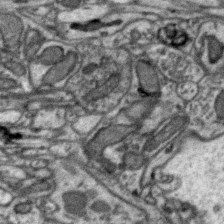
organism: Zebra finch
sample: Brain